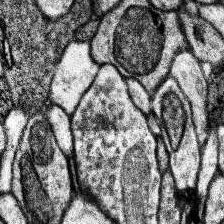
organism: Human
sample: Temporal Lobe